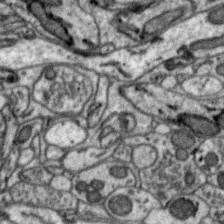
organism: Zebra finch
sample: Brain